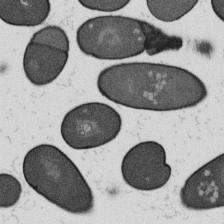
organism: B. subtilis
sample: Bacterial spore